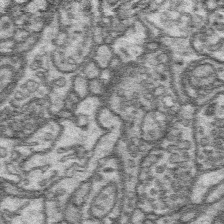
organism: Platynereis dumerilii